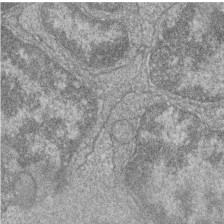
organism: Zebrafish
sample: Cilia; retinal pigment epithelium